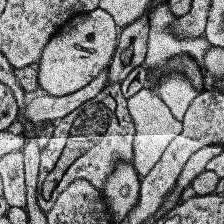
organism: Human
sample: Temporal Lobe